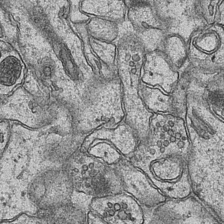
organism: Mouse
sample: CA1 Hippocampus